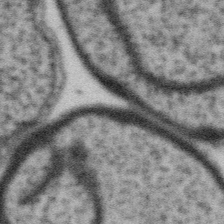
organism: Gemmata obscuriglobus